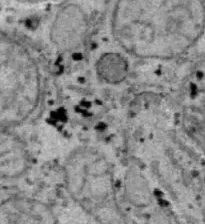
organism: Mouse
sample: Liver from an obese (ob/ob) mouse